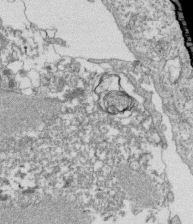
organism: Human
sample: HeLa cell HIV synapse